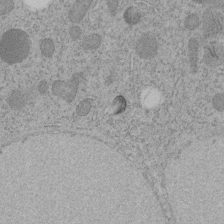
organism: C. elegans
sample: C. elegans embryo early stage